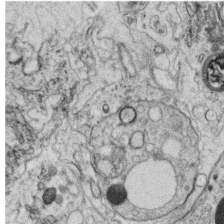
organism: C. elegans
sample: C. elegans oocyte; sperm cells